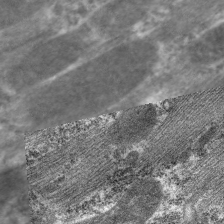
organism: C. elegans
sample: Pharynx